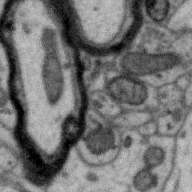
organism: Zebra finch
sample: Brain